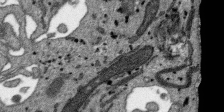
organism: Human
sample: Lung epithelial cells, uninfected (mock) control